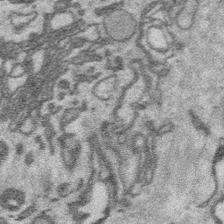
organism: Platynereis dumerilii